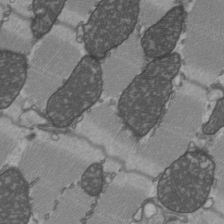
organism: C57BL Mouse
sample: Heart